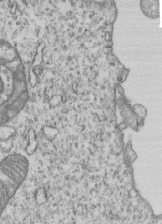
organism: Human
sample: MDA-MB-231 cells